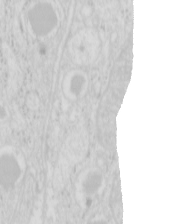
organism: Mouse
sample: Pancreas